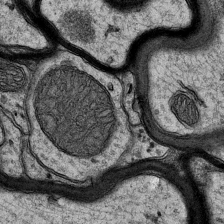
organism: Mouse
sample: CA1 Hippocampus